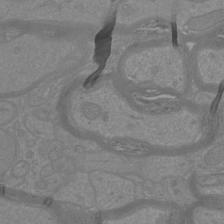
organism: Mouse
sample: Cortical neurons